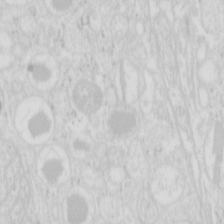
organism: Mouse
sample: Pancreas